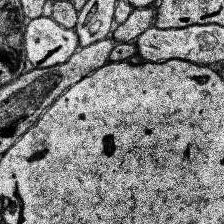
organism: Human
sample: Temporal Lobe